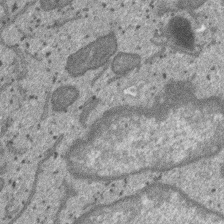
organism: Human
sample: Lung epithelial cells infected with SARS-CoV-2